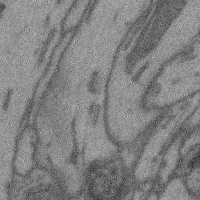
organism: Mouse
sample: Cerebral cortex